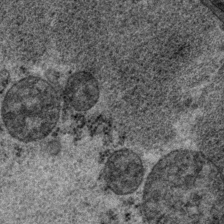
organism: P. pacificus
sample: Pharynx